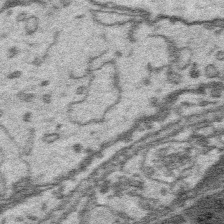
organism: Platynereis dumerilii